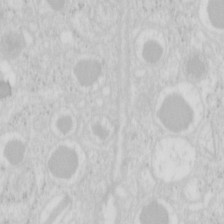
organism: Mouse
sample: Pancreas